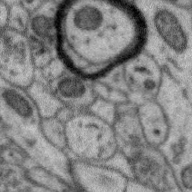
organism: Zebra finch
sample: Brain